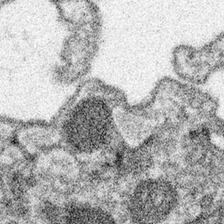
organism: Spongilla lacustris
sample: Neuroid cell